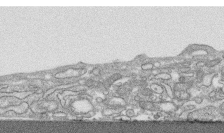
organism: Human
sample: CRL-1474